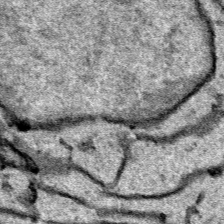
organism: Human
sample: Mitochondria in HCT116 cells